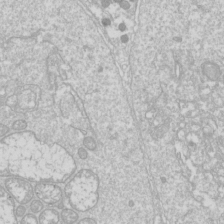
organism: Drosophila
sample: Cell division; meiosis; drosophila spermatocytes